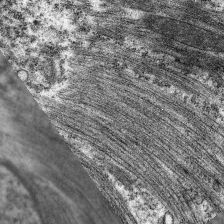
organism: C. elegans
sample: Pharynx